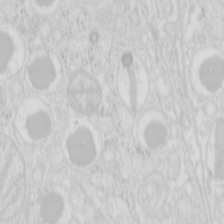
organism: Mouse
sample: Pancreas